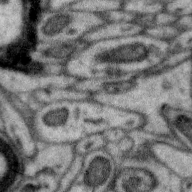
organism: Zebra finch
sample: Brain